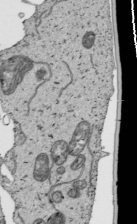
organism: Human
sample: Mitochondria in HCT116 cells